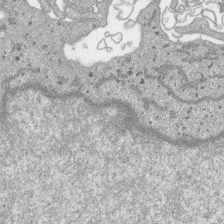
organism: Human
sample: Lung epithelial cells infected with SARS-CoV-2